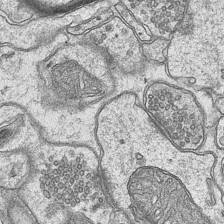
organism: Mouse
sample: CA1 Hippocampus